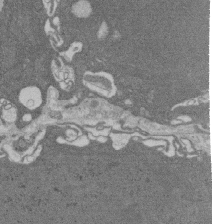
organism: Rat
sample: Salivary granule